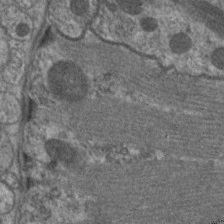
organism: C. elegans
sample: Pharynx